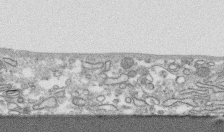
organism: Human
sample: CRL-1474